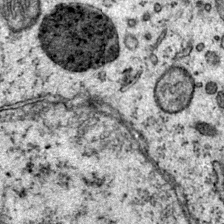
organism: Mouse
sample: Primary visual cortex